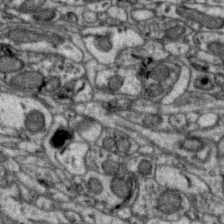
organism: Zebra finch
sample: Brain